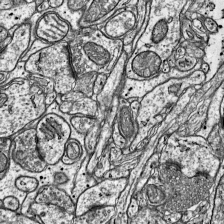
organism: Mouse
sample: Visual Cortex